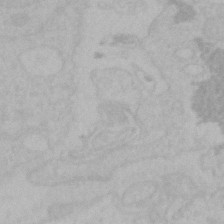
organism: Mouse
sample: Choroid plexus